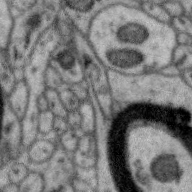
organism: Zebra finch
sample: Brain